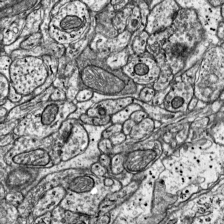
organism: Mouse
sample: Visual Cortex